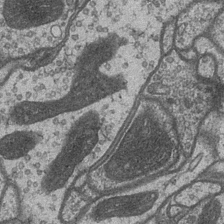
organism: Drosophila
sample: Optic medulla